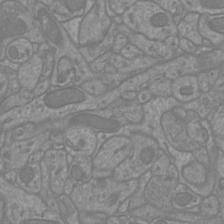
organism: Mouse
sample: Cortical neurons